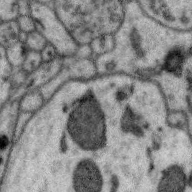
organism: Zebra finch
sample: Brain